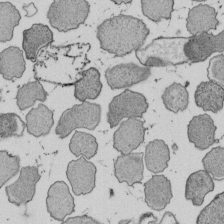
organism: E. coli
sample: Bacterial nucleoid